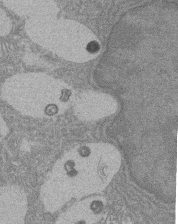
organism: Rat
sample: Salivary granule